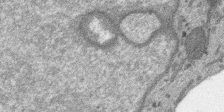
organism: Human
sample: Lung epithelial cells infected with SARS-CoV-2